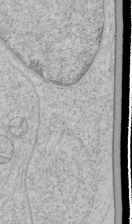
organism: Human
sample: Mitochondria in HCT116 cells